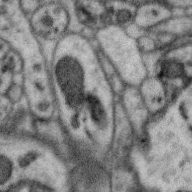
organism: Zebra finch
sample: Brain